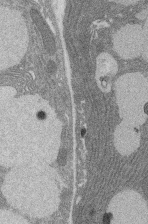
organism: Rat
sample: Salivary granule